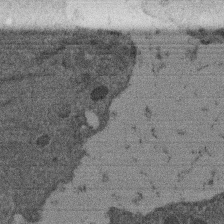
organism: Mouse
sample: Dividing mouse embryo 1 cell stage